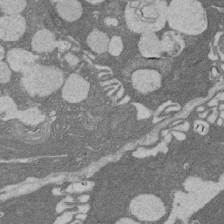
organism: Rat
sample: Salivary granule